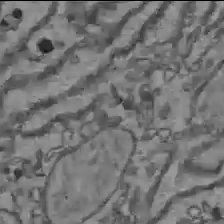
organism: C57BL Mouse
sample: Liver